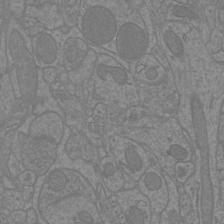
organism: Mouse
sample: Cortical neurons